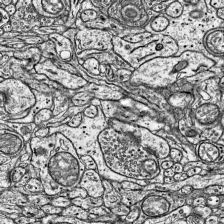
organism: Mouse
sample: Visual Cortex